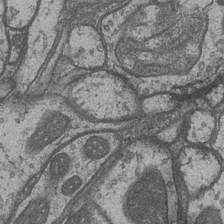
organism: Drosophila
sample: Optic medulla